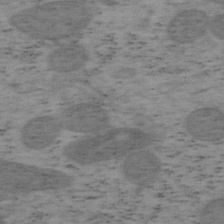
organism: Mouse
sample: OT-I killer T cells with ID8 ovarian cancer cells